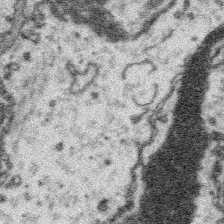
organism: Platynereis dumerilii